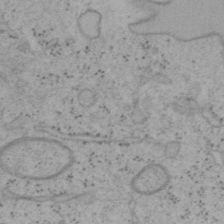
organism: Human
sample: HeLa cells